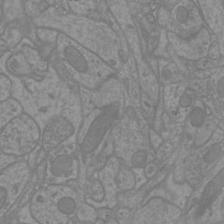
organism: Mouse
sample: Cortical neurons